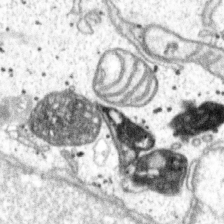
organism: Human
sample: HeLa cells